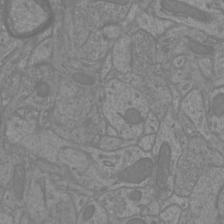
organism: Mouse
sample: Cortical neurons